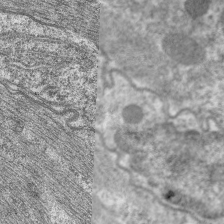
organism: C. elegans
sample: Pharynx